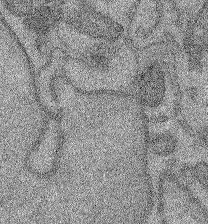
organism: Human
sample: HeLa cells